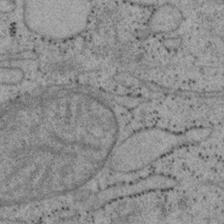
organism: Human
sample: HeLa cells